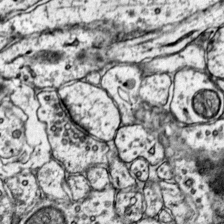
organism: Mouse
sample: Primary visual cortex